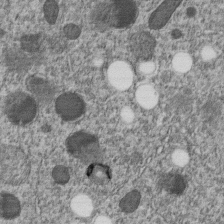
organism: C. elegans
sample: C. elegans embryo early stage